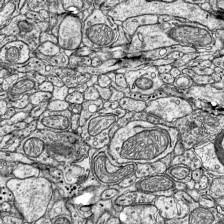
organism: Mouse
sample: Visual Cortex